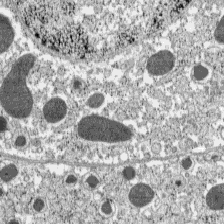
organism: C57BL Mouse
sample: Pancreatic islet